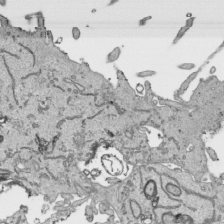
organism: Human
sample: Mitochondria in HCT116 cells